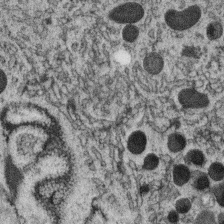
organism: C. elegans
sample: C. elegans oocyte; sperm cells